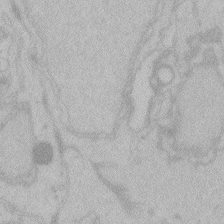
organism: Zebrafish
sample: Macrophage infected with Toxoplasma gondii